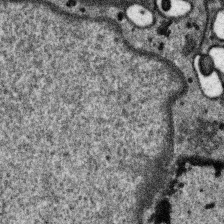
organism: Human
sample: Lung epithelial cells infected with SARS-CoV-2